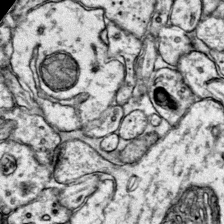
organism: Mouse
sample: Primary visual cortex